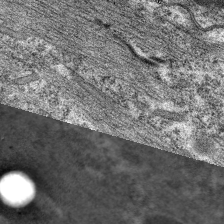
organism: C. elegans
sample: Pharynx